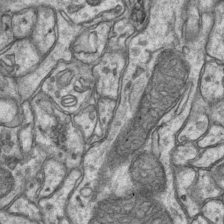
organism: Mouse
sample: CA1 Hippocampus